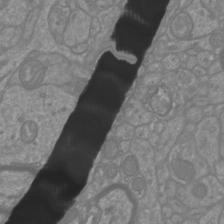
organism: Mouse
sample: Cortical neurons